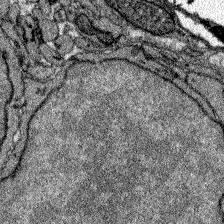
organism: Zebrafish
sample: Larval olfactory bulb